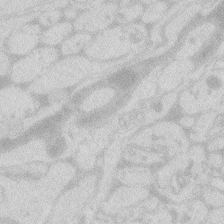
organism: Zebrafish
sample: Macrophage